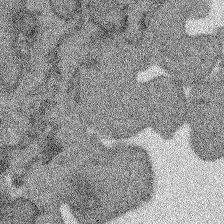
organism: Human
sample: HeLa cells